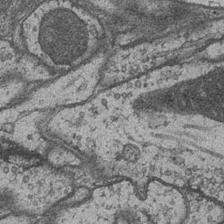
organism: Drosophila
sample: Optic medulla